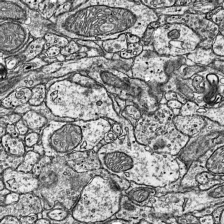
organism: Mouse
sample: Visual Cortex